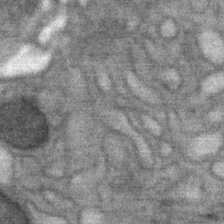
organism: Mouse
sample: Mouse Salivary gland